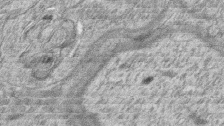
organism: Zebrafish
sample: synaptic ribbons in rod cells and cone cells